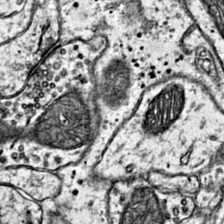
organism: Mouse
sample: Primary visual cortex